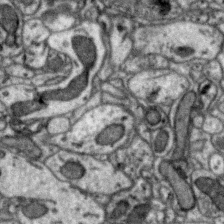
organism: Zebra finch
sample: Brain